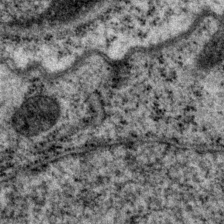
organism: P. pacificus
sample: Pharynx